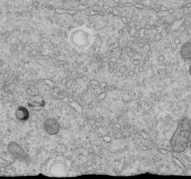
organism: C. elegans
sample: C. elegans embryo early stage